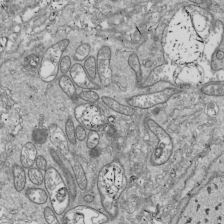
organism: Drosophila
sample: Cell division; meiosis; drosophila spermatocytes